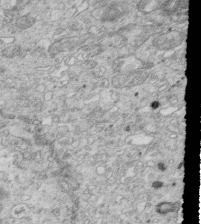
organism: Mouse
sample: Multiciliated cells